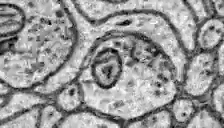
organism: Zebrafish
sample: Brain